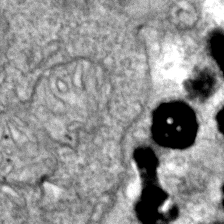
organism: Zebrafish